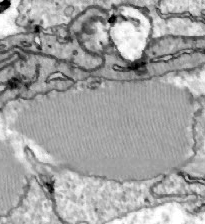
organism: Zebrafish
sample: Actinotrichia fibers